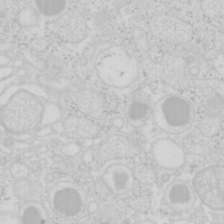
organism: Mouse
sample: Pancreas